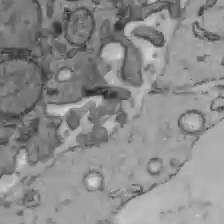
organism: C57BL Mouse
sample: Liver